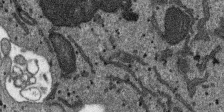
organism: Human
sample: Lung epithelial cells infected with SARS-CoV-2